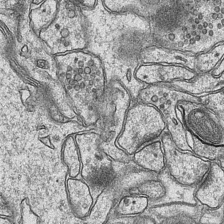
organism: Mouse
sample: CA1 Hippocampus